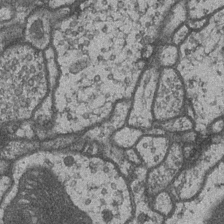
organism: Drosophila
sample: Optic medulla